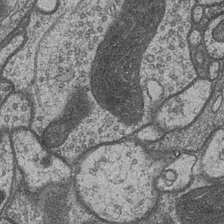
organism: Drosophila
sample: Optic medulla